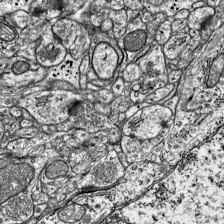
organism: Mouse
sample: Visual Cortex